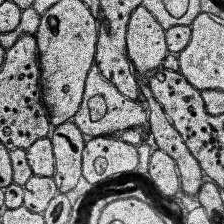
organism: Human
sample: Temporal Lobe